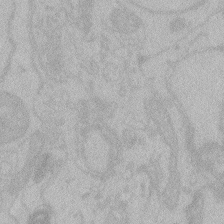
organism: Zebrafish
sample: Macrophage infected with Toxoplasma gondii